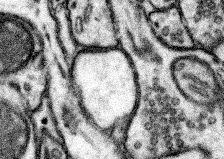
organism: Mouse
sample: Somatosensory cortex neuropil